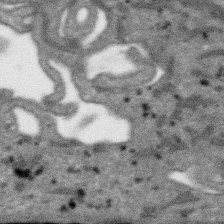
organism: Human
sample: Lung epithelial cells infected with SARS-CoV-2